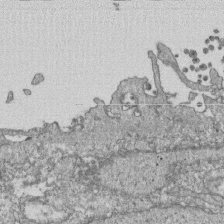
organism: Human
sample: HeLa cell HIV synapse